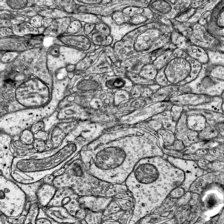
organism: Mouse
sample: Visual Cortex